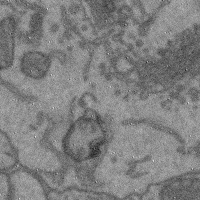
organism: Mouse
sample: Cerebral cortex